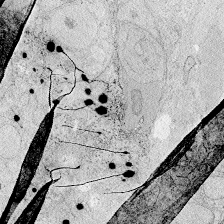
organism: Zebrafish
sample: Whole-Brain